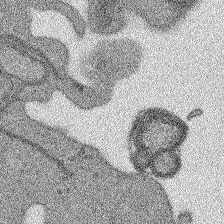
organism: Human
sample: HeLa cells